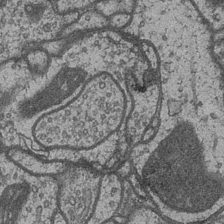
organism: Drosophila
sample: Optic medulla